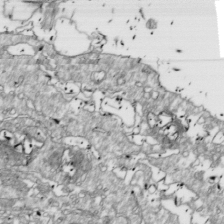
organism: Drosophila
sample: Cell division; meiosis; drosophila spermatocytes